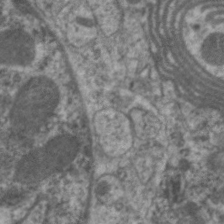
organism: C. elegans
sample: Pharynx